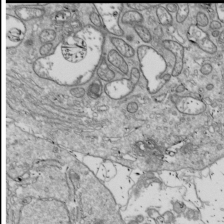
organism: Drosophila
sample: Cell division; meiosis; drosophila spermatocytes